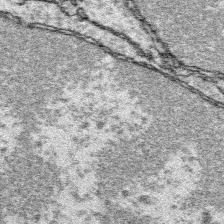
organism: Platynereis dumerilii